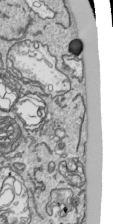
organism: Human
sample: Mitochondria in HCT116 cells